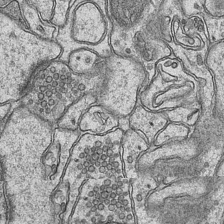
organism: Mouse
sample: CA1 Hippocampus